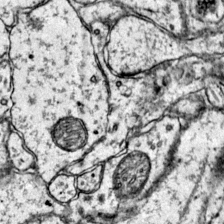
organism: Mouse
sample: Primary visual cortex